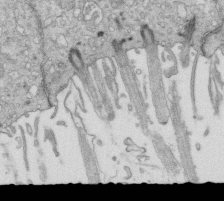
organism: Mouse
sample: Multiciliated cells